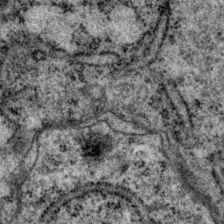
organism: P. pacificus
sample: Pharynx